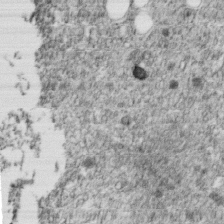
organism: C. elegans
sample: C. elegans embryo early stage